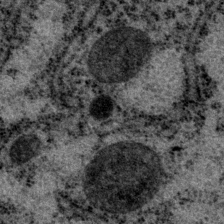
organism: P. pacificus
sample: Pharynx